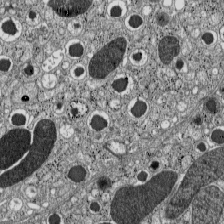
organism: C57BL Mouse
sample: Pancreatic islet